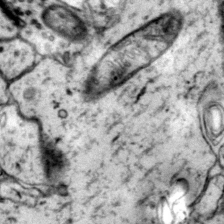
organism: Mouse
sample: Primary visual cortex